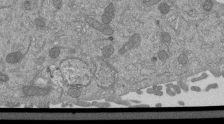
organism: Mouse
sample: ED-1 cell nuclei; centrioles